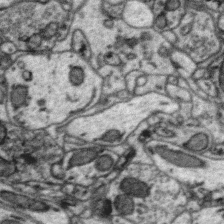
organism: Zebra finch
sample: Brain